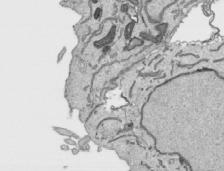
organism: Human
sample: Mitochondria in HCT116 cells